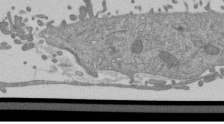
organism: Mouse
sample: ED-1 cell nuclei; centrioles